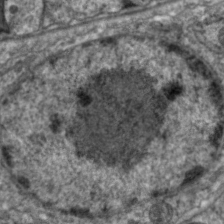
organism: C. elegans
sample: Pharynx